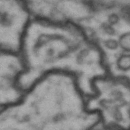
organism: Drosophila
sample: Brain